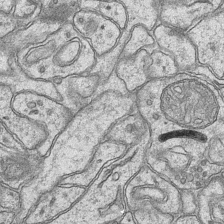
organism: Mouse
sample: CA1 Hippocampus